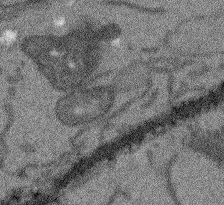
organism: Arabidopsis thaliana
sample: Root tip